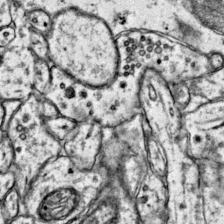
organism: Mouse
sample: Primary visual cortex